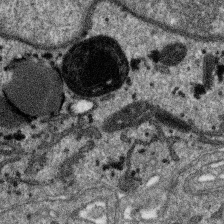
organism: Human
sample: Lung epithelial cells infected with SARS-CoV-2